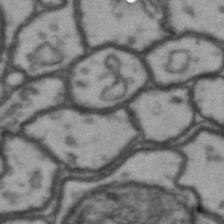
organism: Drosophila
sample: Brain